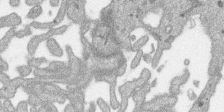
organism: Human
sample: Lung epithelial cells infected with SARS-CoV-2